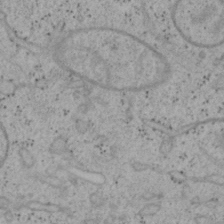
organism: Human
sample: HeLa cells